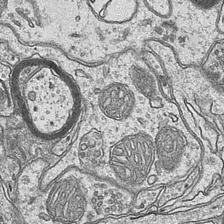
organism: Mouse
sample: CA1 Hippocampus